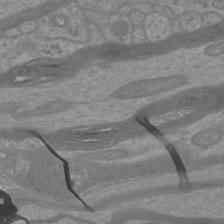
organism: Mouse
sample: Cortical neurons